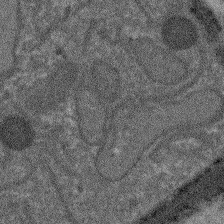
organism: Arabidopsis thaliana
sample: Root tip